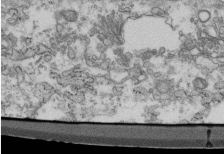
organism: Mouse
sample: Cilia; retinal pigment epithelium